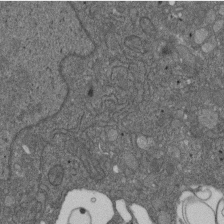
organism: Drosophila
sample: Nephrocyte